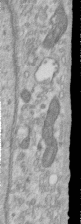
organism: Human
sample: Centriole in RPE cells